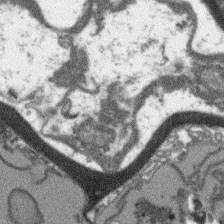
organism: Arabidopsis thaliana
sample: Root tip